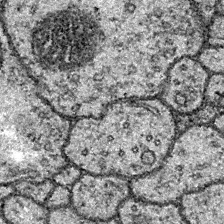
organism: Drosophila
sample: Ventral Nerve Cord